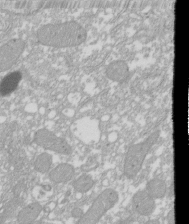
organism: Xenopus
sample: Cilia; centrioles in frog embryo cells